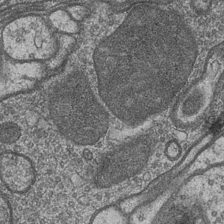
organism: Drosophila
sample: Optic medulla